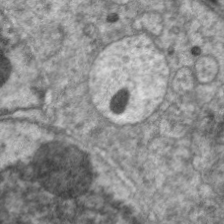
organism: C. elegans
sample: Pharynx